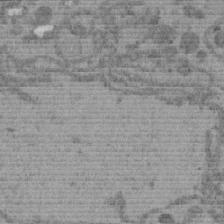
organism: C. elegans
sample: C. elegans embryo early stage